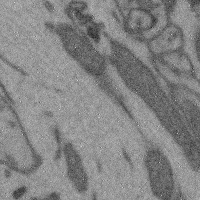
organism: Mouse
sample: Cerebral cortex